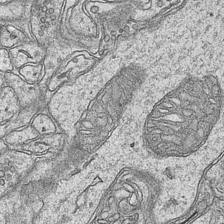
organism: Mouse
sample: CA1 Hippocampus